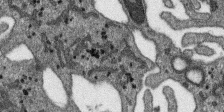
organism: Human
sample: Lung epithelial cells infected with SARS-CoV-2